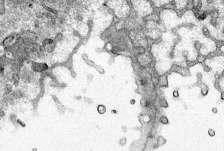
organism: Human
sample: Mitochondria in HCT116 cells